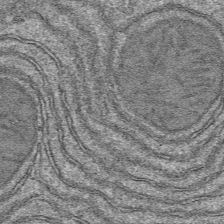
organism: Mouse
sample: Mouse hepatocytes